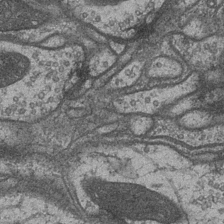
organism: Drosophila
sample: Optic medulla